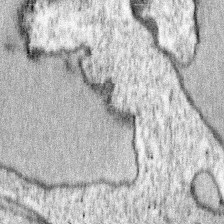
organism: Human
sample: HeLa cells